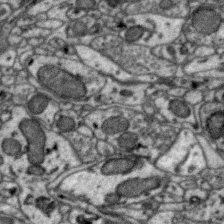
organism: Zebra finch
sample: Brain